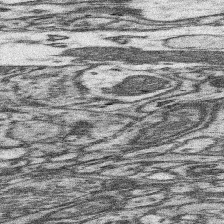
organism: Mouse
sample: Somatosensory cortex neuropil